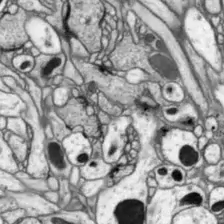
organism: Drosophila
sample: Optic lobe